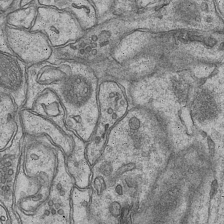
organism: Mouse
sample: CA1 Hippocampus